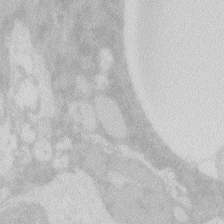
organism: Zebrafish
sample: Macrophage